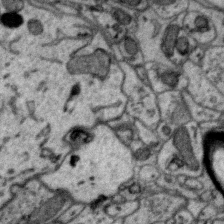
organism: Zebra finch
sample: Brain